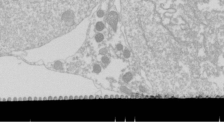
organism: Drosophila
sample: Cell division; meiosis; drosophila spermatocytes